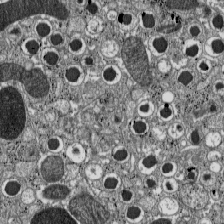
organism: C57BL Mouse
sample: Pancreatic islet